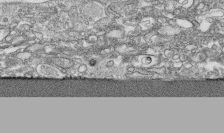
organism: Human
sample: CRL-1474